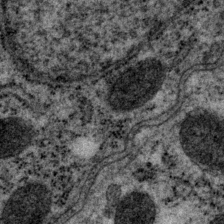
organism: P. pacificus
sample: Pharynx